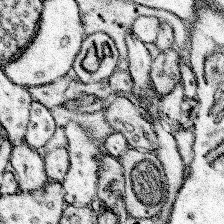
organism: Mouse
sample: Somatosensory cortex neuropil